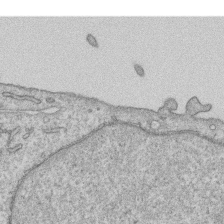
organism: Human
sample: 1205lu cells